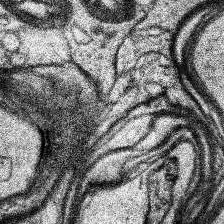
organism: Human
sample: Temporal Lobe